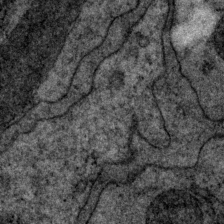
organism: P. pacificus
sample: Pharynx